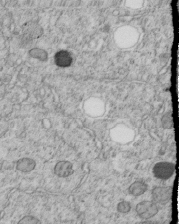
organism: C. elegans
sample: C. elegans embryo early stage